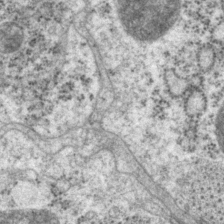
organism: P. pacificus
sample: Pharynx